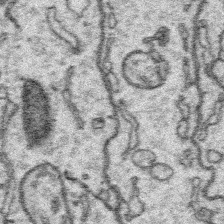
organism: Platynereis dumerilii